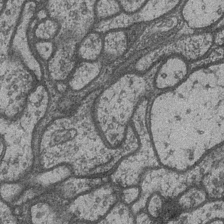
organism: Drosophila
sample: Optic medulla